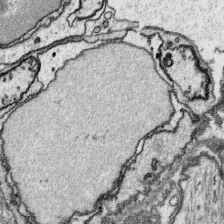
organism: Platynereis dumerilii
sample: Parapodia